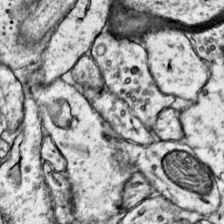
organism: Mouse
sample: Primary visual cortex